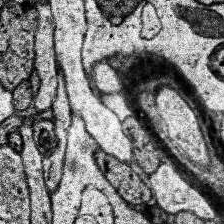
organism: Human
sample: Temporal Lobe